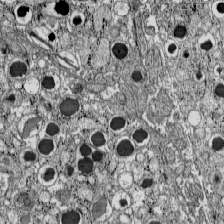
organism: C57BL Mouse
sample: Pancreatic islet